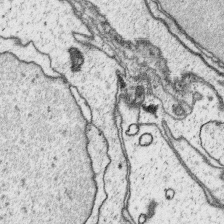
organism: Platynereis dumerilii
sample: Parapodia